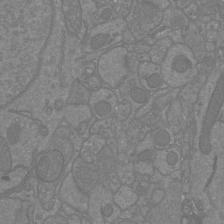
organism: Mouse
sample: Cortical neurons